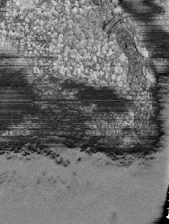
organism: Tetrahymena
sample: Cilia in tetrahymena